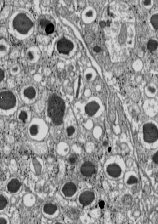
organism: C57BL Mouse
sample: Pancreatic islet